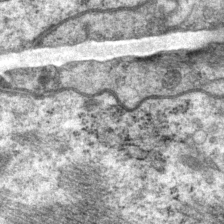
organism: P. pacificus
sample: Pharynx